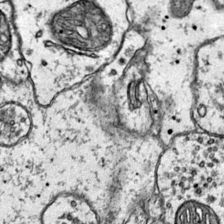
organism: Mouse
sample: Primary visual cortex